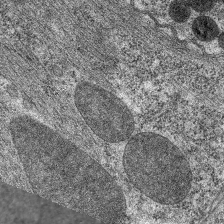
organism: C. elegans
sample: Pharynx